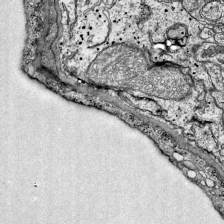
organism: Mouse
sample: Visual Cortex